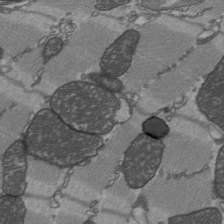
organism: C57BL Mouse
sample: Heart